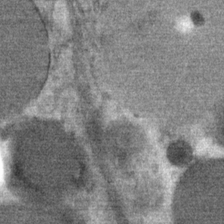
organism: Mouse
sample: Mouse Salivary gland